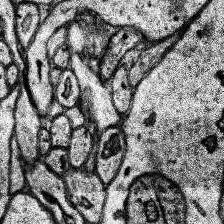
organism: Human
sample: Temporal Lobe